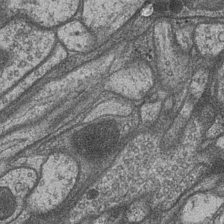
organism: Drosophila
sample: Optic medulla